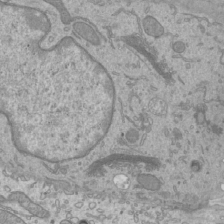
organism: Mouse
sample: Cilia; mouse epididymis